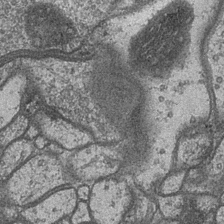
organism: Drosophila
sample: Optic medulla